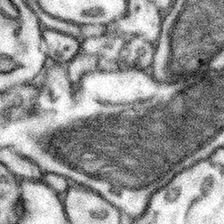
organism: Mouse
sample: Somatosensory cortex neuropil